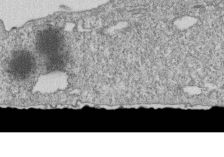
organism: Human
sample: HeLa cell HIV synapse